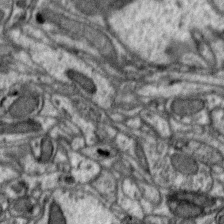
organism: Zebra finch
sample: Brain